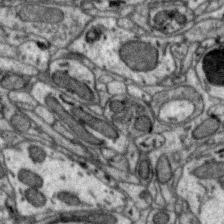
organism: Zebra finch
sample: Brain